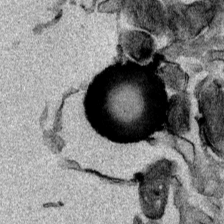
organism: Mouse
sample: Cancer cell death in ED-1 cells